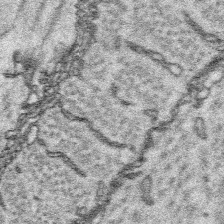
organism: Platynereis dumerilii